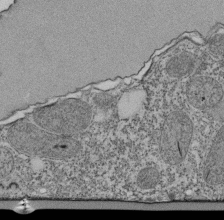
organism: Tetrahymena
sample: Cilia in tetrahymena